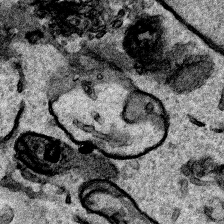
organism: Human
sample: Mitochondria in HCT116 cells